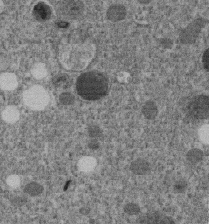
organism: C. elegans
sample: C. elegans embryo early stage